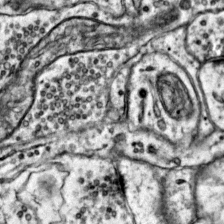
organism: Mouse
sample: Primary visual cortex